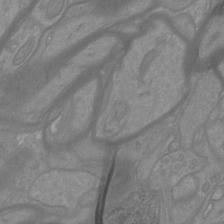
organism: Mouse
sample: Cortical neurons